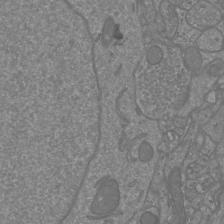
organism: Mouse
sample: Cortical neurons